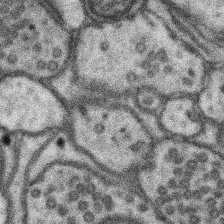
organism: Mouse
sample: Somatosensory cortex neuropil